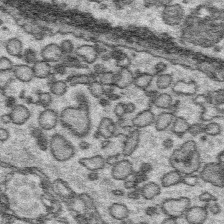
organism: Platynereis dumerilii